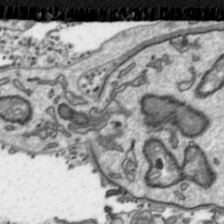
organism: Toxoplasma gondii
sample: Parasites in a vacuole inside a host cell